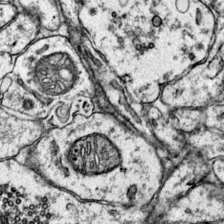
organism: Mouse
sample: Primary visual cortex